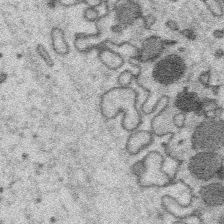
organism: Platynereis dumerilii